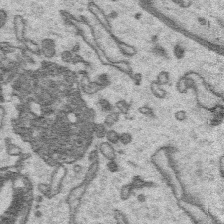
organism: Platynereis dumerilii